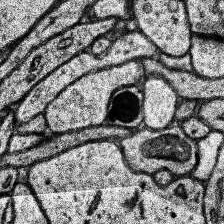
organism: Human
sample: Temporal Lobe